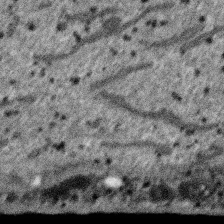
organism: Human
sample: Lung epithelial cells infected with SARS-CoV-2